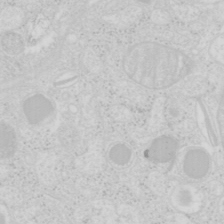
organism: Mouse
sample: Pancreas